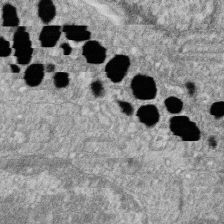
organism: Zebrafish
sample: Cilia; retinal pigment epithelium